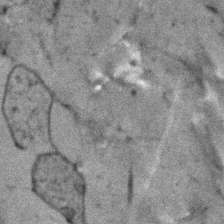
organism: Human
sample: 1205lu cells